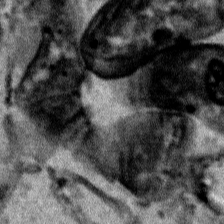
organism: Human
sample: Mitochondria in HCT116 cells